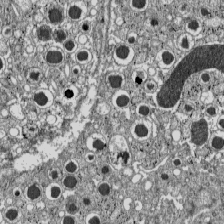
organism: C57BL Mouse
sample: Pancreatic islet